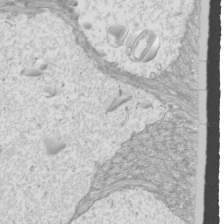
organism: Mouse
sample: Cilia; mouse epididymis